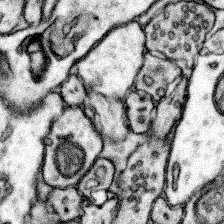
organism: Mouse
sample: Somatosensory cortex neuropil